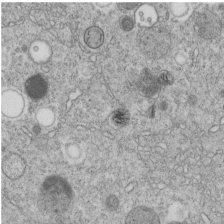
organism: C. elegans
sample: C. elegans embryo early stage